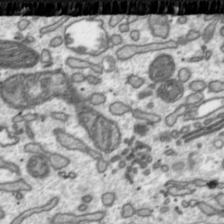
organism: Toxoplasma gondii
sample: Parasites in a vacuole inside a host cell